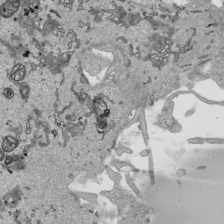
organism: Human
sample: Mitochondria in HCT116 cells